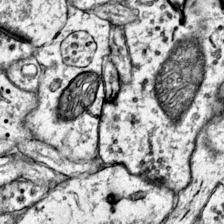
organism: Mouse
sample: Primary visual cortex